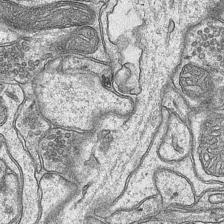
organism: Mouse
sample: CA1 Hippocampus